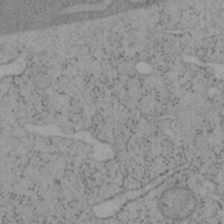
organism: Mouse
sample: OT-I killer T cells with ID8 ovarian cancer cells